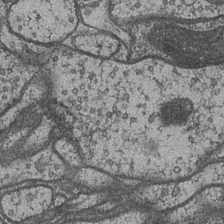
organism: Drosophila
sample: Optic medulla